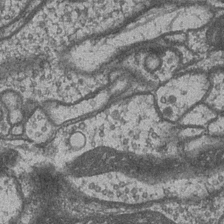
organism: Drosophila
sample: Optic medulla